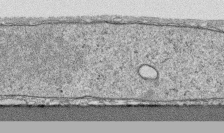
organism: Human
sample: CRL-1474